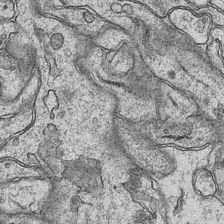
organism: Mouse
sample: CA1 Hippocampus